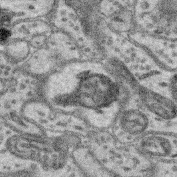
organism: Mouse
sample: Retina